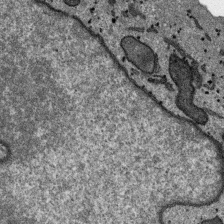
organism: Human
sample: Lung epithelial cells, uninfected (mock) control